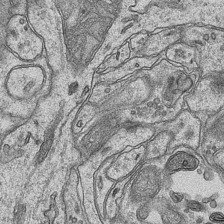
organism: Mouse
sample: CA1 Hippocampus